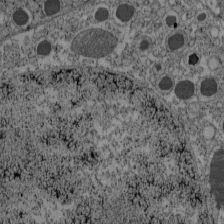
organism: C57BL Mouse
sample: Pancreatic islet